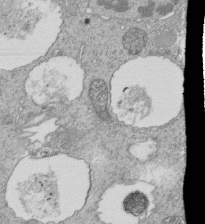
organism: Tetrahymena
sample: Cilia in tetrahymena